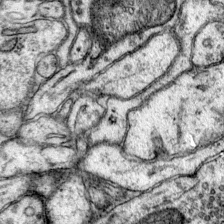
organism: Mouse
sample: Primary visual cortex